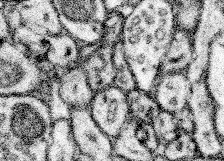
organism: Mouse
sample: Somatosensory cortex neuropil